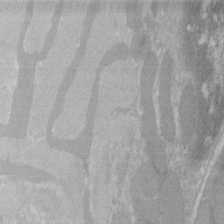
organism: C57BL Mouse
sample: Tibialis anterior muscle cell